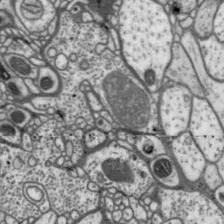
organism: Drosophila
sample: Protocerebral bridge